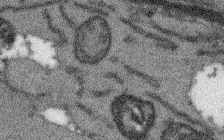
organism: Arabidopsis thaliana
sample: Root tip